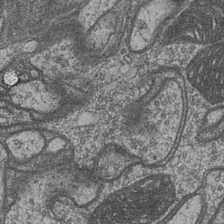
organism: Drosophila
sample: Optic medulla